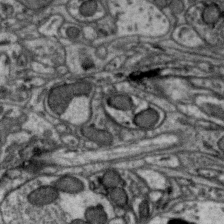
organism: Zebra finch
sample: Brain